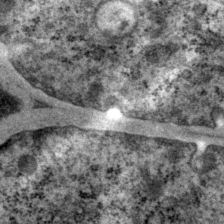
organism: P. pacificus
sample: Pharynx